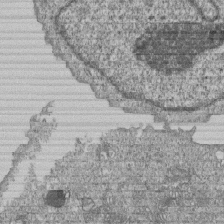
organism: Human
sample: MDA-MB-231 cells